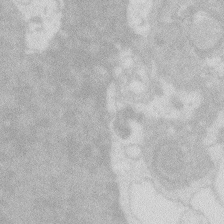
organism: Zebrafish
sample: Macrophage